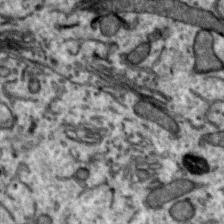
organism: Zebra finch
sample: Brain